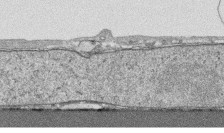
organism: Human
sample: CRL-1474